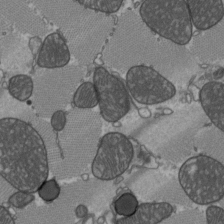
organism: C57BL Mouse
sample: Heart